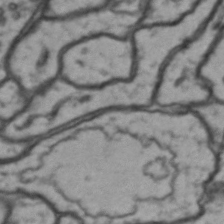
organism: Drosophila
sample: Brain